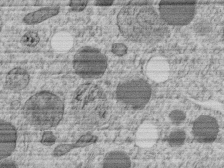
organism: C. elegans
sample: C. elegans embryo early stage